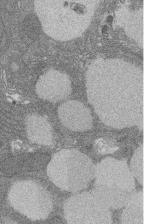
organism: Rat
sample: Salivary granule